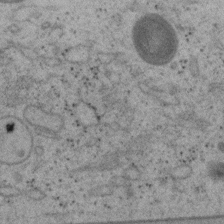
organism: Human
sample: HeLa cells